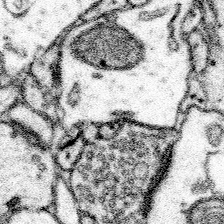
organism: Mouse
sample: Somatosensory cortex neuropil